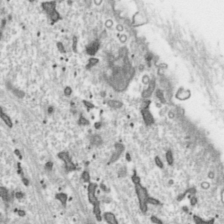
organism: Toxoplasma gondii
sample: Parasites in a vacuole inside a host cell